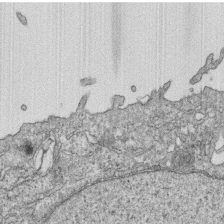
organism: Human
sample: HeLa cell HIV synapse